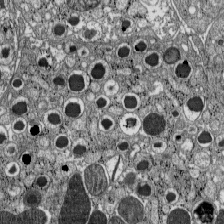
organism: C57BL Mouse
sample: Pancreatic islet